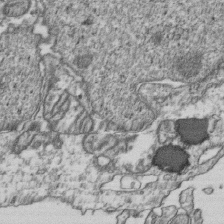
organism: Human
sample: Activated Jurkat CD4+ T cells